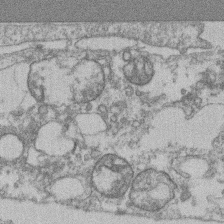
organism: Mouse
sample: T cell stromal cell synapse